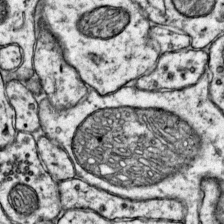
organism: Mouse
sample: Primary visual cortex